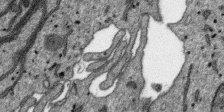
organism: Human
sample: Lung epithelial cells, uninfected (mock) control